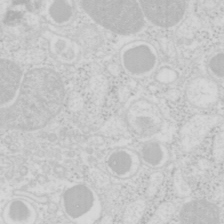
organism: Mouse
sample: Pancreas